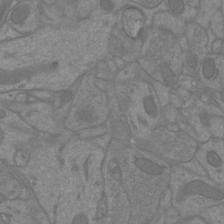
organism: Mouse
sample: Cortical neurons